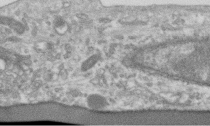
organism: Human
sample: Centriole in RPE cells